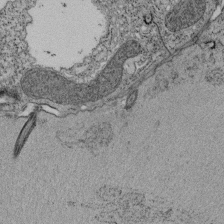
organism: Tetrahymena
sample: Cilia in tetrahymena